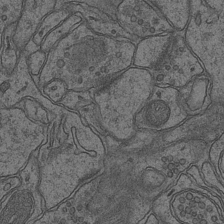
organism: Mouse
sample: CA1 Hippocampus